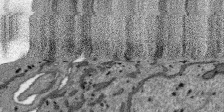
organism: Human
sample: Lung epithelial cells, uninfected (mock) control